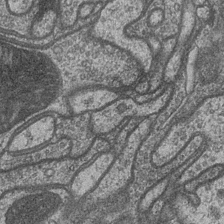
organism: Drosophila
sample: Optic medulla